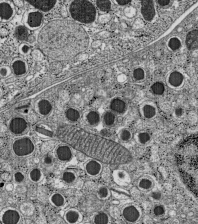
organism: C57BL Mouse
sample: Pancreatic islet